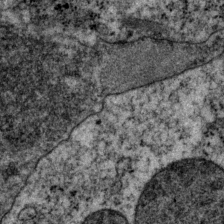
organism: P. pacificus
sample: Pharynx